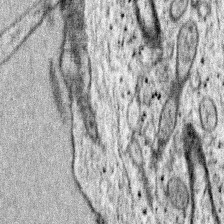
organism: Human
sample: HeLa cells